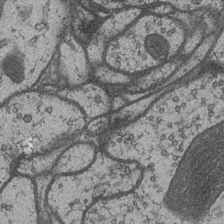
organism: Drosophila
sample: Optic medulla